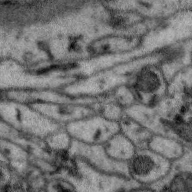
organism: Zebra finch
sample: Brain